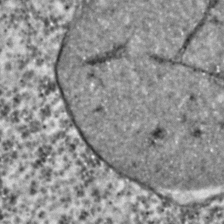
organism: C. elegans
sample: C. elegans embryo